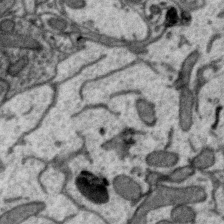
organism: Zebra finch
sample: Brain